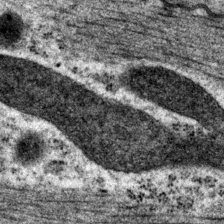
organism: P. pacificus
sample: Pharynx